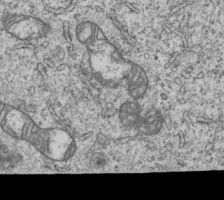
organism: Human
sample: MDA-MB-231 cells